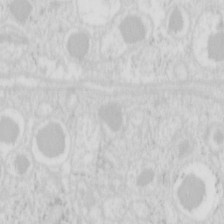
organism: Mouse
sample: Pancreas